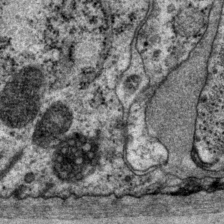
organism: P. pacificus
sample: Pharynx